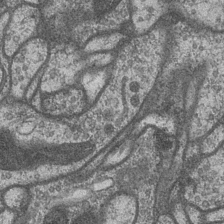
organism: Drosophila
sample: Optic medulla